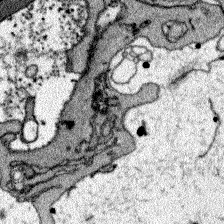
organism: Zebrafish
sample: Larval olfactory bulb